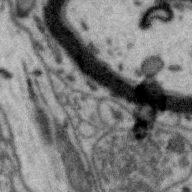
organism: Zebra finch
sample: Brain